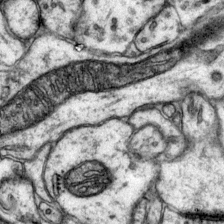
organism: Mouse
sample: Primary visual cortex